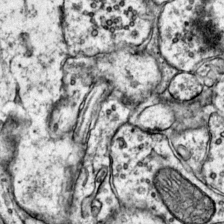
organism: Mouse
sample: Primary visual cortex